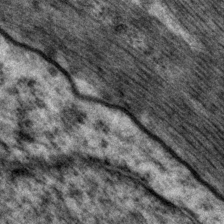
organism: P. pacificus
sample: Pharynx